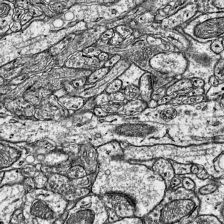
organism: Mouse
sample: Visual Cortex